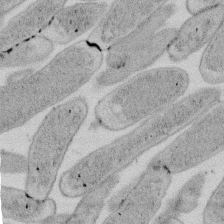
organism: E. coli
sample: Bacterial nucleoid